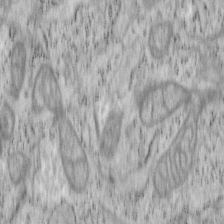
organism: Human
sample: HeLa cells